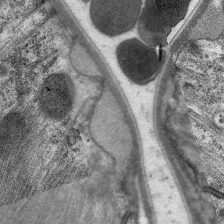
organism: C. elegans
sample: Pharynx